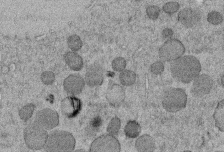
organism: C. elegans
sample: C. elegans embryo early stage